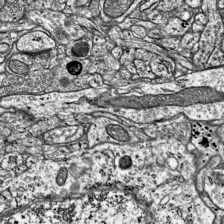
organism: Mouse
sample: Visual Cortex